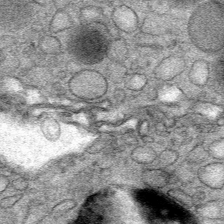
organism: Mouse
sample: Mouse Salivary gland